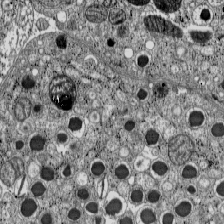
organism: C57BL Mouse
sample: Pancreatic islet